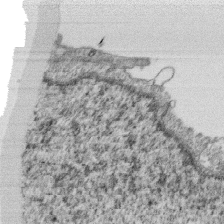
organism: African green monkey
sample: Vero E6 cells infected with SARS-CoV-2